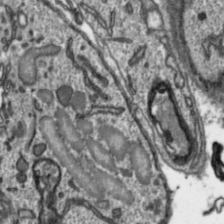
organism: Toxoplasma gondii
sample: Parasites in a vacuole inside a host cell